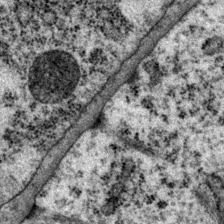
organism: P. pacificus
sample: Pharynx